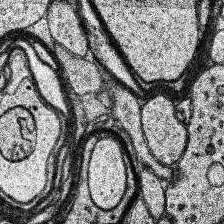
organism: Human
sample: Temporal Lobe